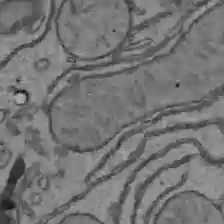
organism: C57BL Mouse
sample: Liver